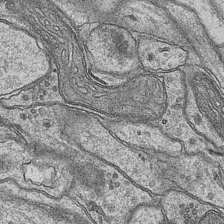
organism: Mouse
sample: CA1 Hippocampus